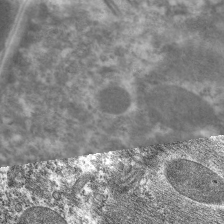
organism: C. elegans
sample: Pharynx